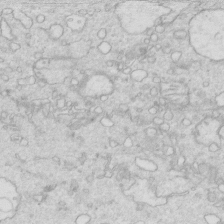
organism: Mouse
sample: Multiciliated cells